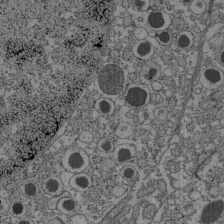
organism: C57BL Mouse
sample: Pancreatic islet